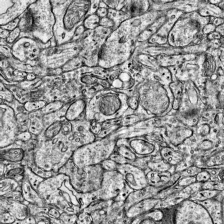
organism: Mouse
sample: Visual Cortex